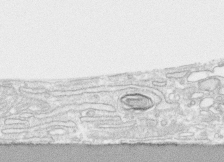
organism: Human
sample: CRL-1474